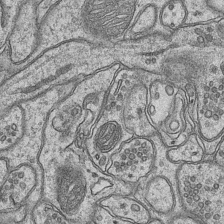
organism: Mouse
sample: CA1 Hippocampus